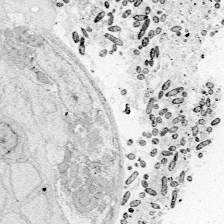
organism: Zebrafish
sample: Whole-Brain